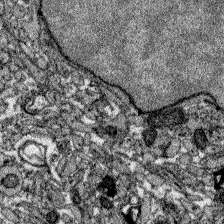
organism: Zebrafish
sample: Larval olfactory bulb